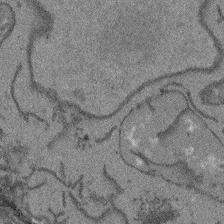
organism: Arabidopsis thaliana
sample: Root tip